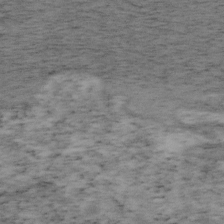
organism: Mouse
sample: OT-I killer T cells with ID8 ovarian cancer cells